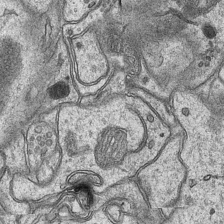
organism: Mouse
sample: CA1 Hippocampus